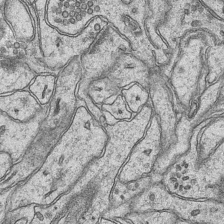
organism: Mouse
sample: CA1 Hippocampus